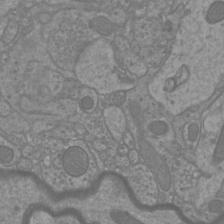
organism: Mouse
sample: Cortical neurons